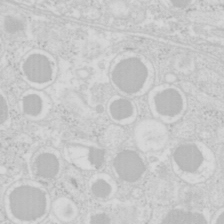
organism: Mouse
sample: Pancreas